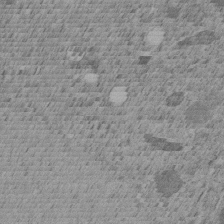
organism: C. elegans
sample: C. elegans embryo early stage